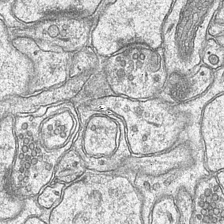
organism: Mouse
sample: CA1 Hippocampus